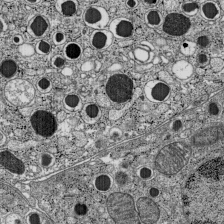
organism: C57BL Mouse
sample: Pancreatic islet